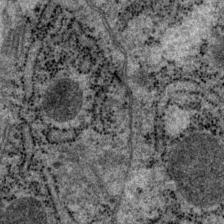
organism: P. pacificus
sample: Pharynx